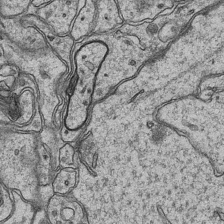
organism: Mouse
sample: CA1 Hippocampus